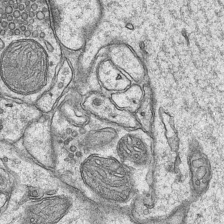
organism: Mouse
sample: CA1 Hippocampus